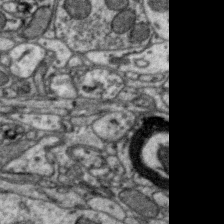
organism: Zebra finch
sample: Brain